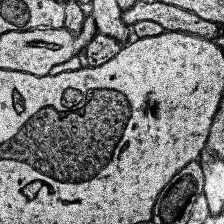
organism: Human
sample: Temporal Lobe